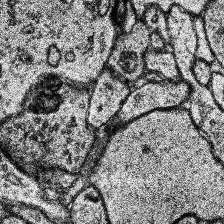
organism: Human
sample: Temporal Lobe